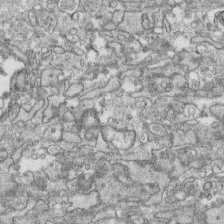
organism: Human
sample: CRL-1474